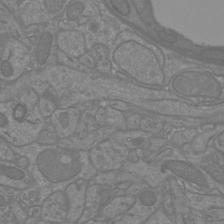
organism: Mouse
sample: Cortical neurons